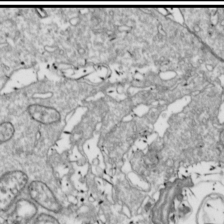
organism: Drosophila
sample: Cell division; meiosis; drosophila spermatocytes